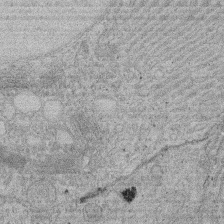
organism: Rat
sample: Salivary granule